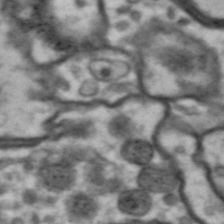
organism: Drosophila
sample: Brain